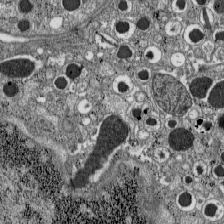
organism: C57BL Mouse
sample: Pancreatic islet